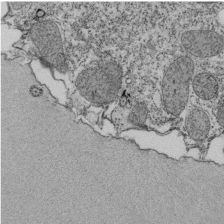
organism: Tetrahymena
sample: Cilia in tetrahymena